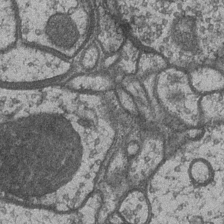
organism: Drosophila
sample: Optic medulla